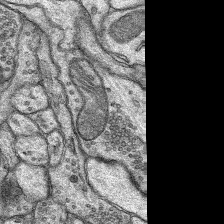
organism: Rat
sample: Hippocampus